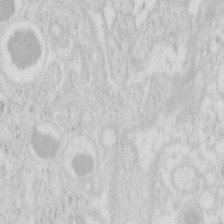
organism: Mouse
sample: Pancreas